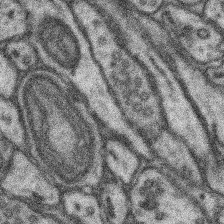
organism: Mouse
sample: Somatosensory cortex neuropil